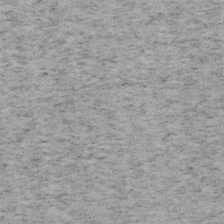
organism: Mouse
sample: OT-I killer T cells with ID8 ovarian cancer cells